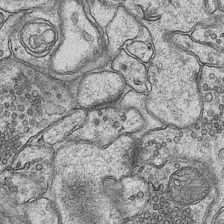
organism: Mouse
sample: CA1 Hippocampus